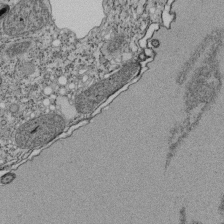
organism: Tetrahymena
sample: Cilia in tetrahymena